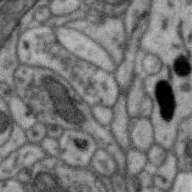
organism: Zebra finch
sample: Brain